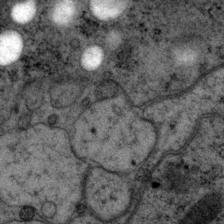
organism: P. pacificus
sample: Pharynx